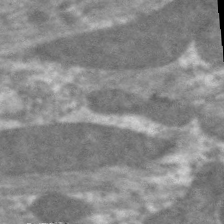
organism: C. elegans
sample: Pharynx